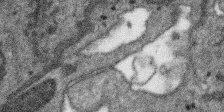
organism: Human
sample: Lung epithelial cells infected with SARS-CoV-2